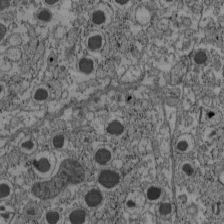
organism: C57BL Mouse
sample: Pancreatic islet